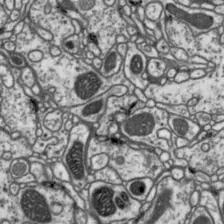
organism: Drosophila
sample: Protocerebral bridge